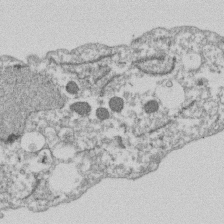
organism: Dictyostelium discoideum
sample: Dictyostelium multivesicular bodies